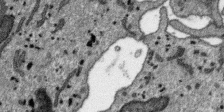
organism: Human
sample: Lung epithelial cells, uninfected (mock) control